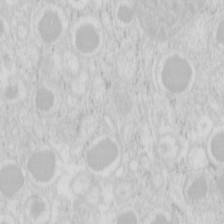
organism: Mouse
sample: Pancreas